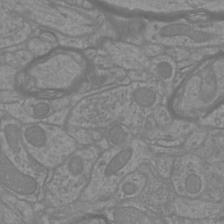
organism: Mouse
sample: Cortical neurons